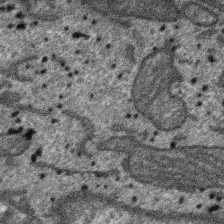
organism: Human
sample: Lung epithelial cells infected with SARS-CoV-2